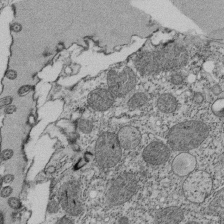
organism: Tetrahymena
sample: Cilia in tetrahymena